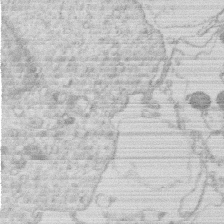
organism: Human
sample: Macrophage cells